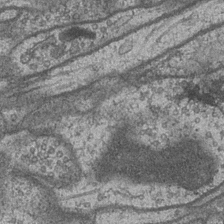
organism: Drosophila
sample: Optic medulla